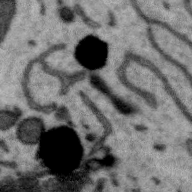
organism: Zebra finch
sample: Brain